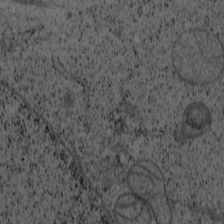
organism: African green monkey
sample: COS-7 cells